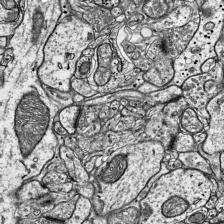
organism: Mouse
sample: Visual Cortex